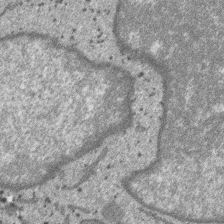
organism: Human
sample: Lung epithelial cells infected with SARS-CoV-2